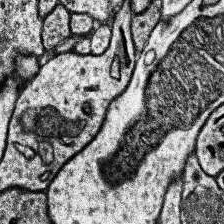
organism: Human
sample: Temporal Lobe